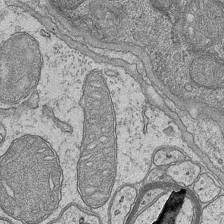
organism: Mouse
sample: CA1 Hippocampus